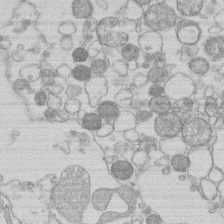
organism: Human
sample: Macrophage cells